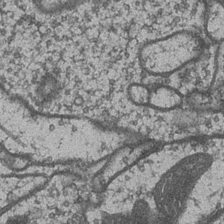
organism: Drosophila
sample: Optic medulla